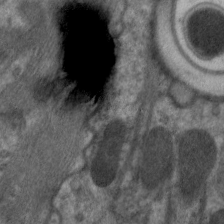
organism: C. elegans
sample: Pharynx